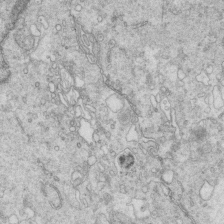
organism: Mouse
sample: Multiciliated cells